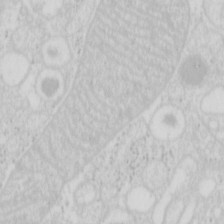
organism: Mouse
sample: Pancreas